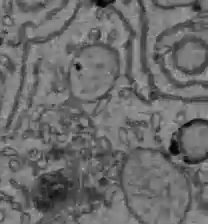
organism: C57BL Mouse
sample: Liver